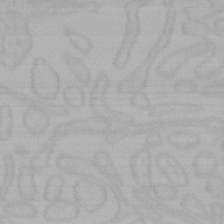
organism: Mouse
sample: Choroid plexus